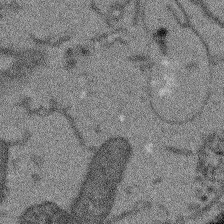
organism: Arabidopsis thaliana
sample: Root tip